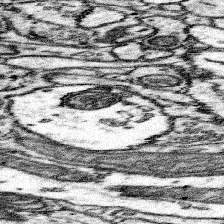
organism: Mouse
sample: Somatosensory cortex neuropil